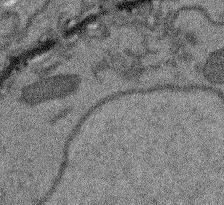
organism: Arabidopsis thaliana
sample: Root tip